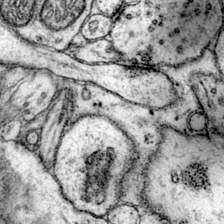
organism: Mouse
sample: Primary visual cortex